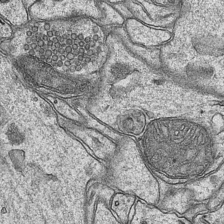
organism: Mouse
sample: CA1 Hippocampus